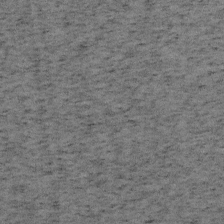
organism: Mouse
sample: OT-I killer T cells with ID8 ovarian cancer cells